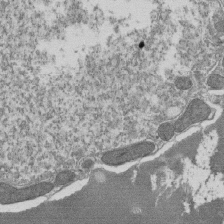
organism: Tetrahymena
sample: Cilia in tetrahymena